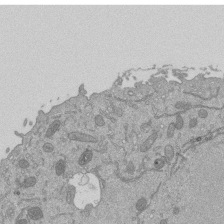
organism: Mouse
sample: ED-1 cell nuclei; centrioles